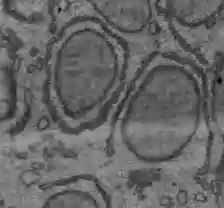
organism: C57BL Mouse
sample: Liver